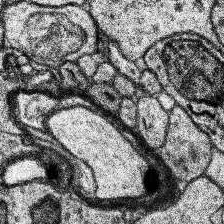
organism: Human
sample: Temporal Lobe